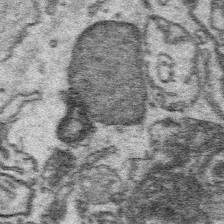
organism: Platynereis dumerilii